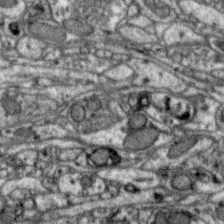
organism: Zebra finch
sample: Brain